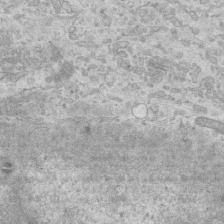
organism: Mouse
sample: Centriole in ependymal cells